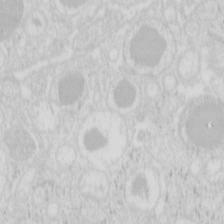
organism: Mouse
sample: Pancreas